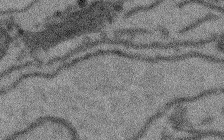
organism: Arabidopsis thaliana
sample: Root tip